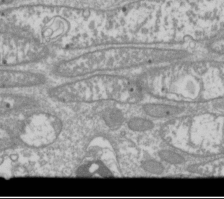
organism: Drosophila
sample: Cell division; meiosis; drosophila spermatocytes